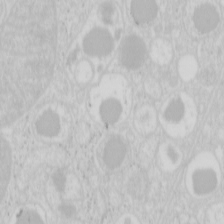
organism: Mouse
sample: Pancreas